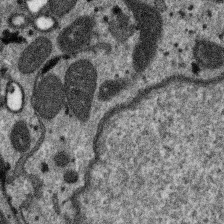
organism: Human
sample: Lung epithelial cells infected with SARS-CoV-2